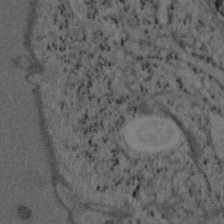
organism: Human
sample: HeLa cells